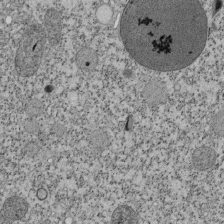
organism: Tetrahymena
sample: Cilia in tetrahymena